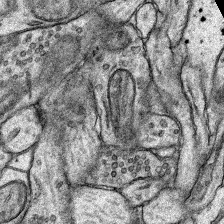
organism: Rat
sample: Hippocampus